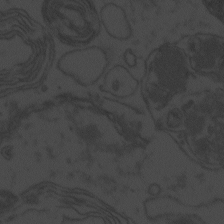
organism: Zebrafish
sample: Macrophage infected with Toxoplasma gondii